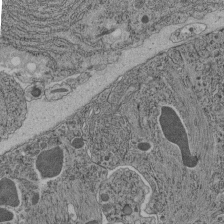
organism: C. elegans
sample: C. elegans pharynx